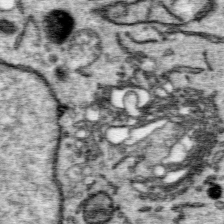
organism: Human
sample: HeLa cells